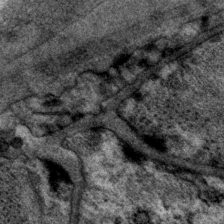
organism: P. pacificus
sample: Pharynx